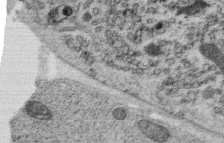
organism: C. elegans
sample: C. elegans oocyte; sperm cells